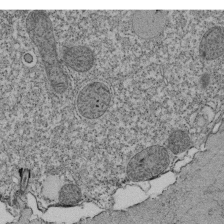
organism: Tetrahymena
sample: Cilia in tetrahymena